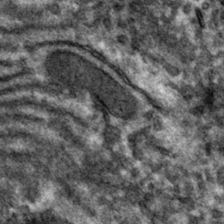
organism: Mouse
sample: Mouse hepatocytes